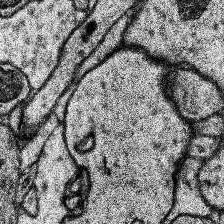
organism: Human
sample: Temporal Lobe